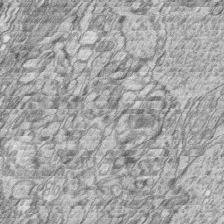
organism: Zebrafish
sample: synaptic ribbons in rod cells and cone cells